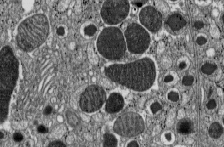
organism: C57BL Mouse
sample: Pancreatic islet